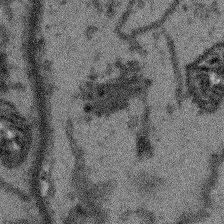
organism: Arabidopsis thaliana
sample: Root tip